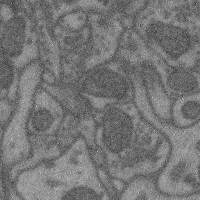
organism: Mouse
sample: Cerebral cortex